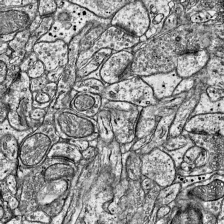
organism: Mouse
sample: Visual Cortex